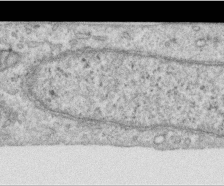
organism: Human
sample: Centriole in RPE cells